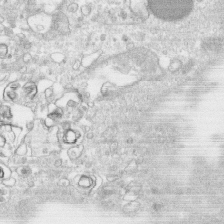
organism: Human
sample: CRL-1474